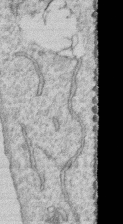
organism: Human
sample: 1205lu cells